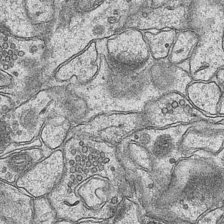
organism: Mouse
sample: CA1 Hippocampus